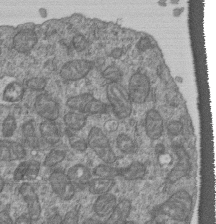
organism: Human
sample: Retinal organoid Rod and Cone cells